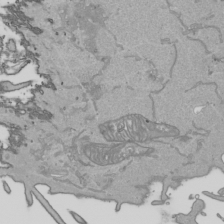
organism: Human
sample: Mitochondria in HCT116 cells